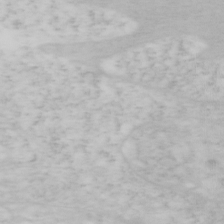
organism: Mouse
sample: OT-I killer T cells with ID8 ovarian cancer cells